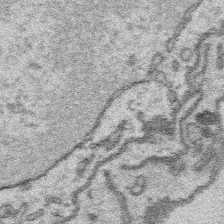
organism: Platynereis dumerilii